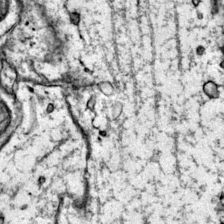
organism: Mouse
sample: Primary visual cortex